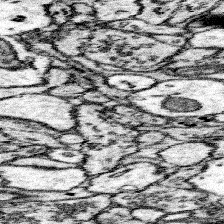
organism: Mouse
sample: Somatosensory cortex neuropil